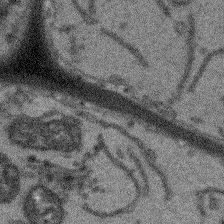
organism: Arabidopsis thaliana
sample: Root tip